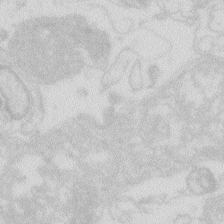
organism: Zebrafish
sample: Macrophage